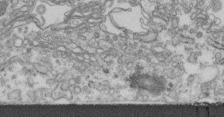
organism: Human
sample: Centriole in fibroblast cells